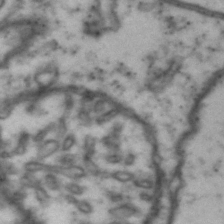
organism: Drosophila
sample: Brain